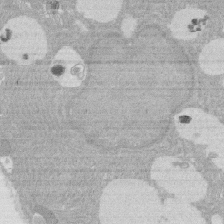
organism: Rat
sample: Salivary granule